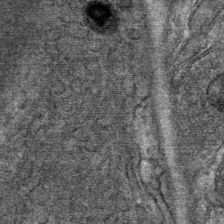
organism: Mouse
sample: Mouse Salivary gland